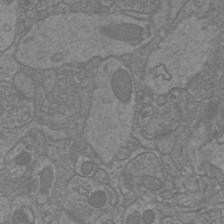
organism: Mouse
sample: Cortical neurons